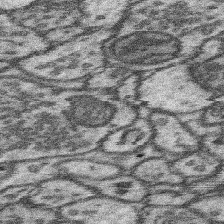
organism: Mouse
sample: Somatosensory cortex neuropil